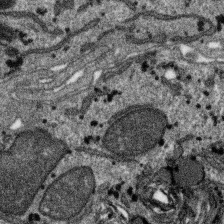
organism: Human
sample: Lung epithelial cells infected with SARS-CoV-2